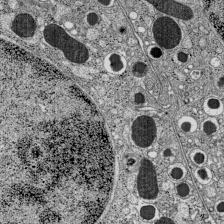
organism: C57BL Mouse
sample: Pancreatic islet